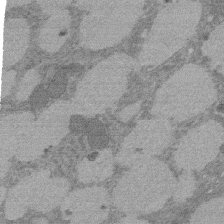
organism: Rat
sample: Salivary granule